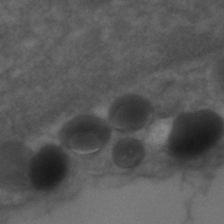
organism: Zebrafish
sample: Zebrafish embryo